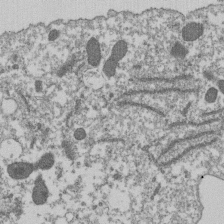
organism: Dictyostelium discoideum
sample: Dictyostelium multivesicular bodies